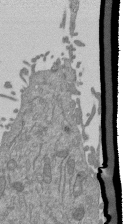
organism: Mouse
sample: ED-1 cell nuclei; centrioles